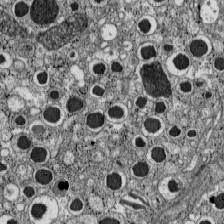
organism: C57BL Mouse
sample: Pancreatic islet